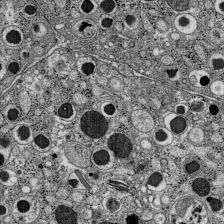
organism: C57BL Mouse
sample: Pancreatic islet